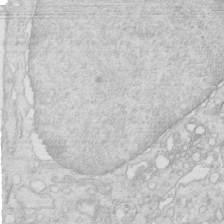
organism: Mouse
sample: Multiciliated cells